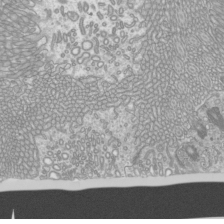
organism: Mouse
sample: Cilia; mouse epididymis